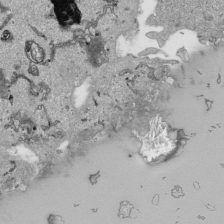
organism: Human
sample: Mitochondria in HCT116 cells